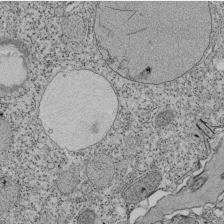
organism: Tetrahymena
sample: Cilia in tetrahymena